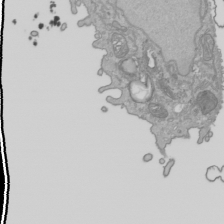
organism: Human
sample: Mitochondria in HCT116 cells